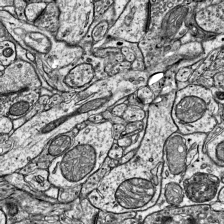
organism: Mouse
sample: Visual Cortex